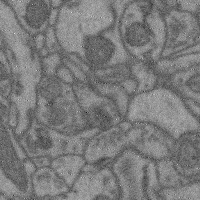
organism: Mouse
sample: Cerebral cortex